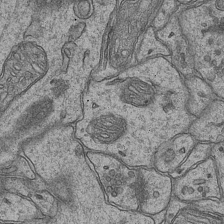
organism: Mouse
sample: CA1 Hippocampus